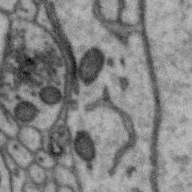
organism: Zebra finch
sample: Brain